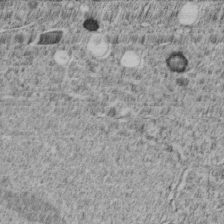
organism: C. elegans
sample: C. elegans embryo early stage